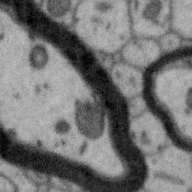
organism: Zebra finch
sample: Brain